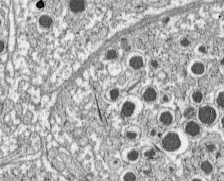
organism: C57BL Mouse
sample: Pancreatic islet